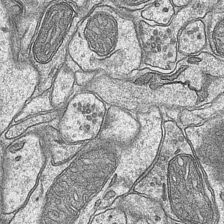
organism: Mouse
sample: CA1 Hippocampus